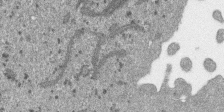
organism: Human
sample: Lung epithelial cells infected with SARS-CoV-2